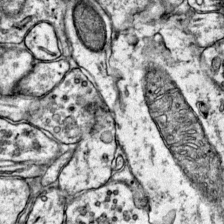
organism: Mouse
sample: Primary visual cortex